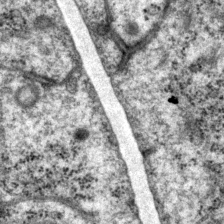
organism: P. pacificus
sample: Pharynx